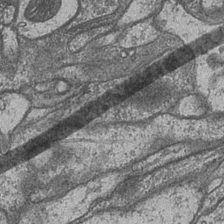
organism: Drosophila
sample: Optic medulla